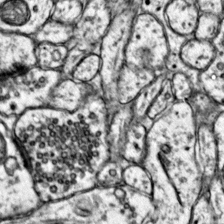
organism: Mouse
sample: Primary visual cortex